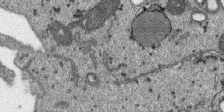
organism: Human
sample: Lung epithelial cells infected with SARS-CoV-2